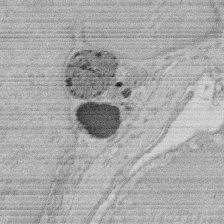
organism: Rat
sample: Salivary granule